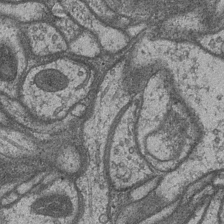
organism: Drosophila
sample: Optic medulla